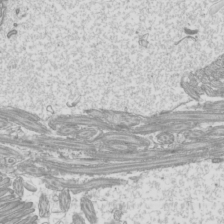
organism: Mouse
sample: Cilia; mouse epididymis